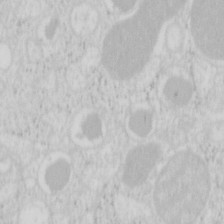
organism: Mouse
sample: Pancreas